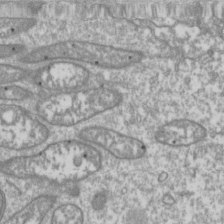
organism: Drosophila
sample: Cell division; meiosis; drosophila spermatocytes